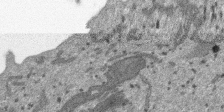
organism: Human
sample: Lung epithelial cells infected with SARS-CoV-2